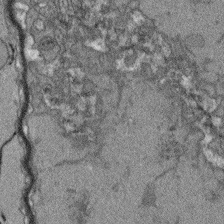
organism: Arabidopsis thaliana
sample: Root tip